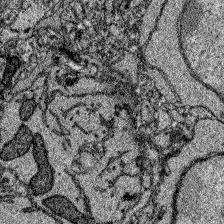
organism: Zebrafish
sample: Larval olfactory bulb